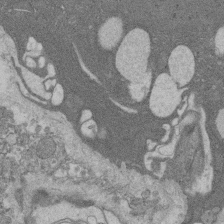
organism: Rat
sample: Salivary granule